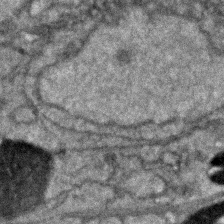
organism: Zebrafish